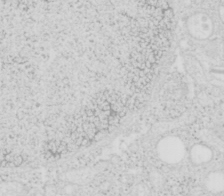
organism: Mouse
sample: Pancreas